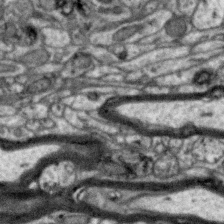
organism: Zebra finch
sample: Brain